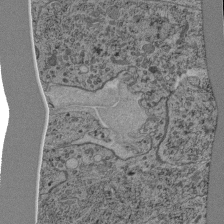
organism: C. elegans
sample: C. elegans pharynx